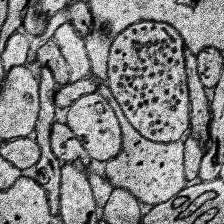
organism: Human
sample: Temporal Lobe